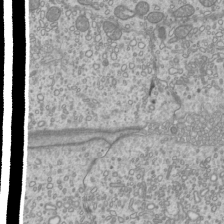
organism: Mouse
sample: Cilia; mouse epididymis